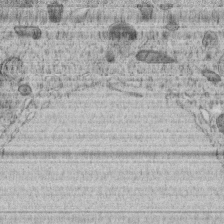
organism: C. elegans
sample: C. elegans embryo early stage